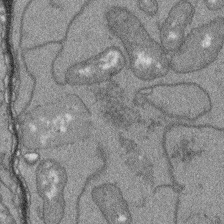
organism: Arabidopsis thaliana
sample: Root tip